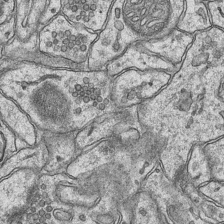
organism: Mouse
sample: CA1 Hippocampus